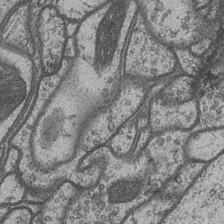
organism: Drosophila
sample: Optic medulla